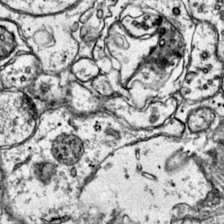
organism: Mouse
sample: Primary visual cortex